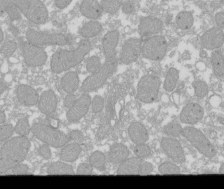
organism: Xenopus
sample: Cilia; centrioles in frog embryo cells